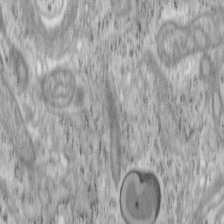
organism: Human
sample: HeLa cells